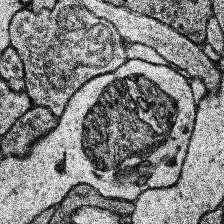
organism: Human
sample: Temporal Lobe